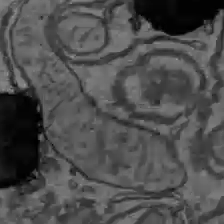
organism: C57BL Mouse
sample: Liver